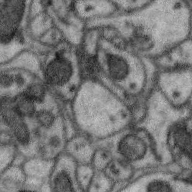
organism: Zebra finch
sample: Brain